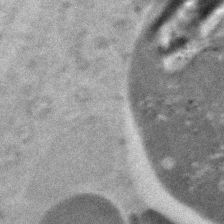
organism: Zebrafish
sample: Zebrafish embryo